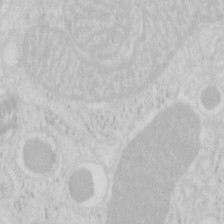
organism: Mouse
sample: Pancreas